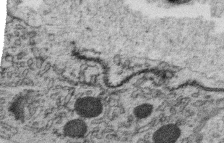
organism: C. elegans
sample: C. elegans oocyte; sperm cells